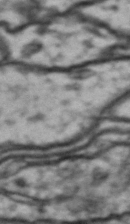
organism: Drosophila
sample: Brain